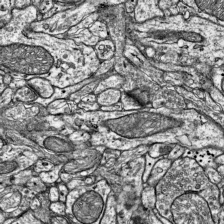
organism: Mouse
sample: Visual Cortex